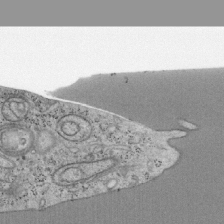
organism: Human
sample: HeLa cells